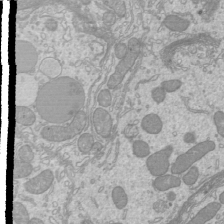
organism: Mouse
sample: Cilia; mouse epididymis